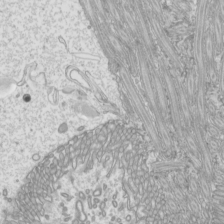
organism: Mouse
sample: Cilia; mouse epididymis